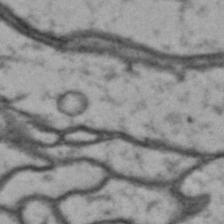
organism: Drosophila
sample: Brain